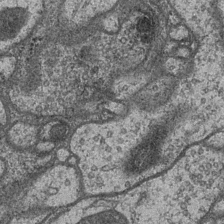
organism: Drosophila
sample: Optic medulla